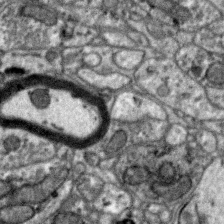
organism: Zebra finch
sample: Brain